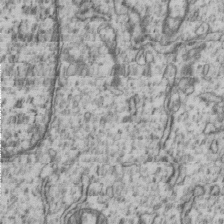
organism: Human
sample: MDA-MB-231 cells